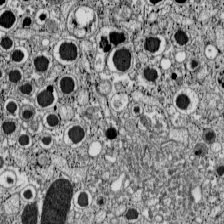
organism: C57BL Mouse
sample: Pancreatic islet